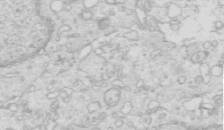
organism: Mouse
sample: Multiciliated cells